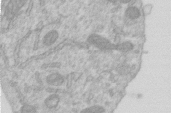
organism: Human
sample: Centriole in RPE cells